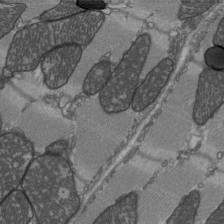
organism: C57BL Mouse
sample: Heart